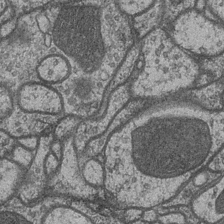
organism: Drosophila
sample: Optic medulla